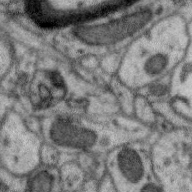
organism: Zebra finch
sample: Brain